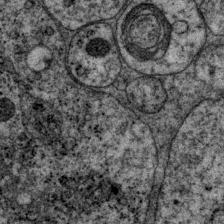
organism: P. pacificus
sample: Pharynx